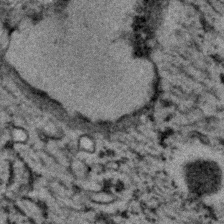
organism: C. elegans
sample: C. elegans embryo